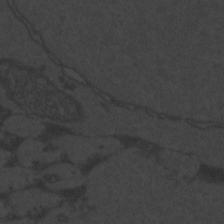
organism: Zebrafish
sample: Macrophage infected with Toxoplasma gondii